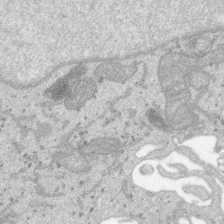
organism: Human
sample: Lung epithelial cells infected with SARS-CoV-2